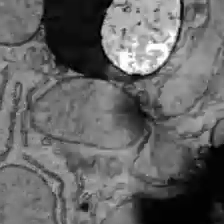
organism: C57BL Mouse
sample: Liver